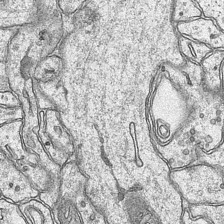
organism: Mouse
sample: CA1 Hippocampus